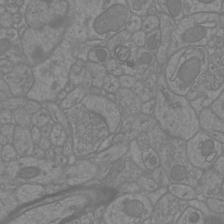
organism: Mouse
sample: Cortical neurons